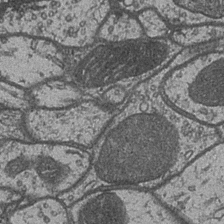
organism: Drosophila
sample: Optic medulla